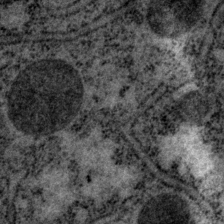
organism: P. pacificus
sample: Pharynx